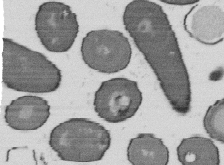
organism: B. subtilis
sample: Bacterial spore